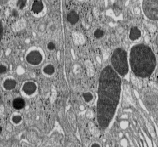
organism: C57BL Mouse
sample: Pancreatic islet